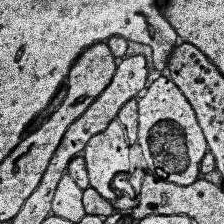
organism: Human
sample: Temporal Lobe